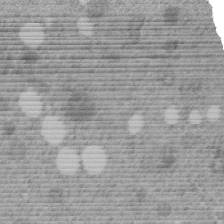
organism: C. elegans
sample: C. elegans embryo early stage